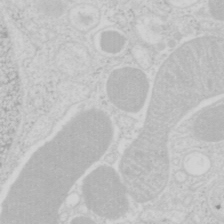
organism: Mouse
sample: Pancreas